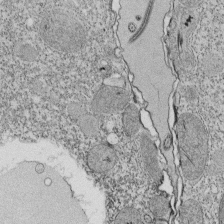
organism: Tetrahymena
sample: Cilia in tetrahymena